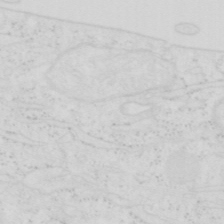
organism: Human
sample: SUM-159 cell